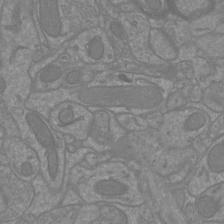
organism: Mouse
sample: Cortical neurons